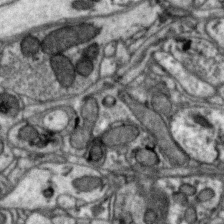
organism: Zebra finch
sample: Brain